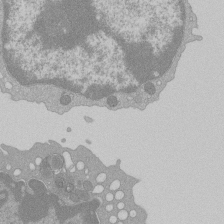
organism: Mouse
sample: Activated Pmel transgenic CD8+ T Cells